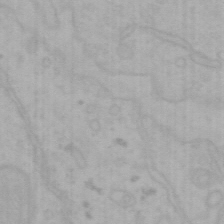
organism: Mouse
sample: Choroid plexus